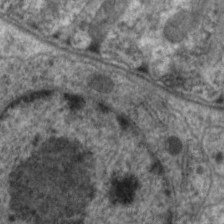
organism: C. elegans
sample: Pharynx